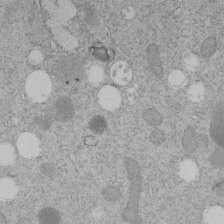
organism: C. elegans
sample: C. elegans embryo early stage